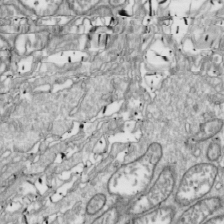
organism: Drosophila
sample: Cell division; meiosis; drosophila spermatocytes